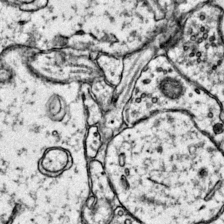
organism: Mouse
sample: Primary visual cortex